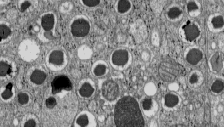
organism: C57BL Mouse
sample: Pancreatic islet